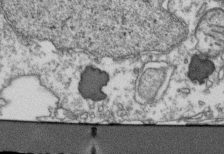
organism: Human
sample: Activated Jurkat CD4+ T cells